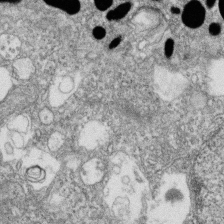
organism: Zebrafish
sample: Cilia; retinal pigment epithelium